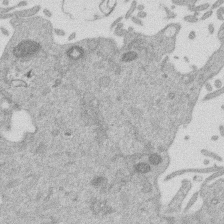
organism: Mouse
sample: Dividing mouse embryo 1 cell stage